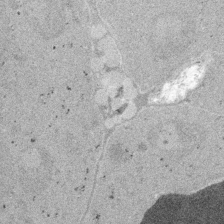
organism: Embia sp.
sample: Silk gland